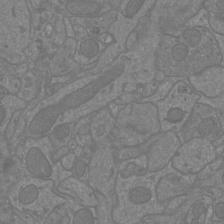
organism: Mouse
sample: Cortical neurons